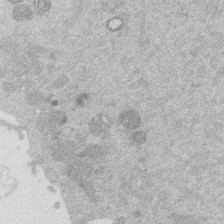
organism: Mouse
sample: Dividing mouse embryo 1 cell stage